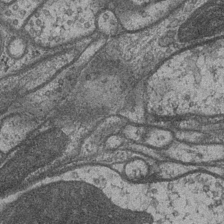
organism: Drosophila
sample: Optic medulla